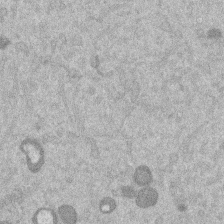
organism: Mouse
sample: Dividing mouse embryo 1 cell stage